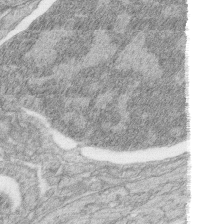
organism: Zebrafish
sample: synaptic ribbons in rod cells and cone cells